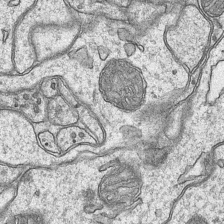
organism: Mouse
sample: CA1 Hippocampus